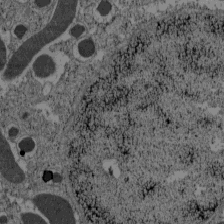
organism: C57BL Mouse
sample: Pancreatic islet